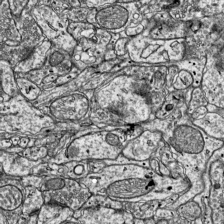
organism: Mouse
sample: Visual Cortex